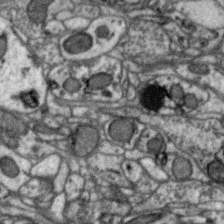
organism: Zebra finch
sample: Brain